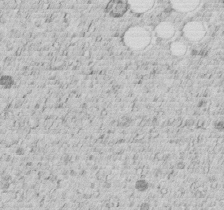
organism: C. elegans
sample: C. elegans embryo early stage